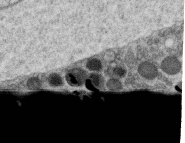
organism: C. elegans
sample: C. elegans oocyte; sperm cells